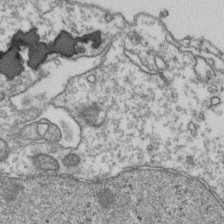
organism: Human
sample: Activated Jurkat CD4+ T cells